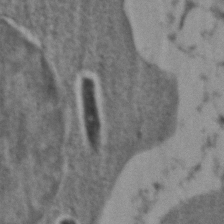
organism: Zebrafish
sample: Zebrafish embryo